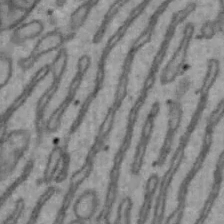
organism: Mouse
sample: Liver